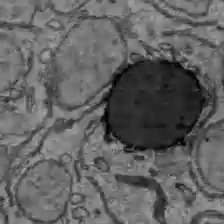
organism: C57BL Mouse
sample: Liver